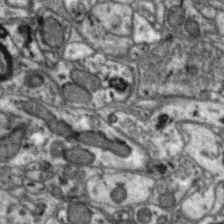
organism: Zebra finch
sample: Brain